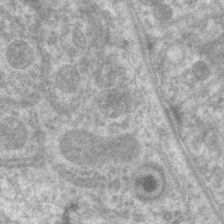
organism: C. elegans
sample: Pharynx